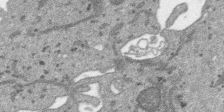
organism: Human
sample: Lung epithelial cells infected with SARS-CoV-2